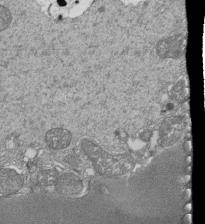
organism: Tetrahymena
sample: Cilia in tetrahymena